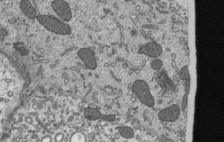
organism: Mouse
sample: Mouse epididymis efferent ductule cilia